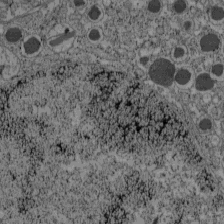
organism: C57BL Mouse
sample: Pancreatic islet